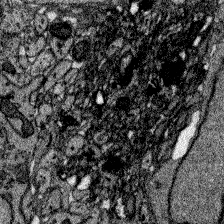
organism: Zebrafish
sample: Larval olfactory bulb